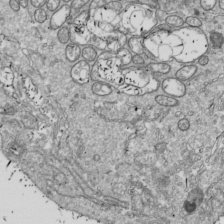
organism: Drosophila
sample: Cell division; meiosis; drosophila spermatocytes